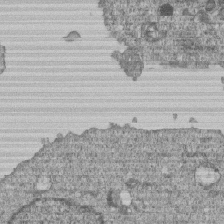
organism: Human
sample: MDA-MB-231 cells